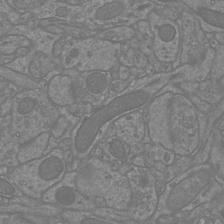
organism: Mouse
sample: Cortical neurons